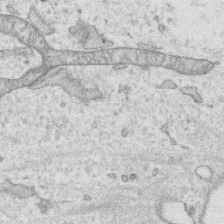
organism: Human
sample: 1205lu cells